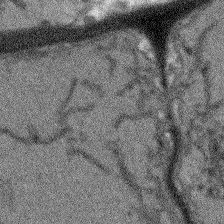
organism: Arabidopsis thaliana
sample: Root tip